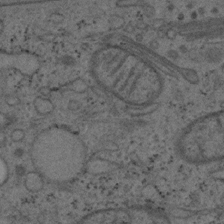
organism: Human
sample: HeLa cells